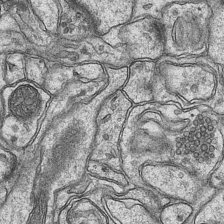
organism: Mouse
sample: CA1 Hippocampus